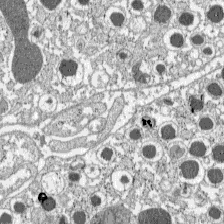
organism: C57BL Mouse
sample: Pancreatic islet